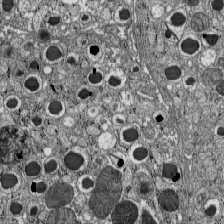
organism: C57BL Mouse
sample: Pancreatic islet